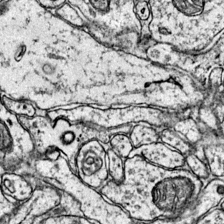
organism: Mouse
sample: Primary visual cortex